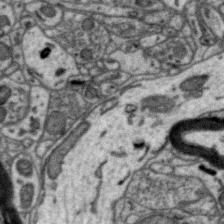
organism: Zebra finch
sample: Brain